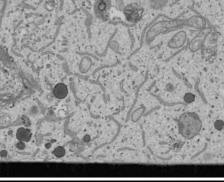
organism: Human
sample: Mitochondria in U2OS cells